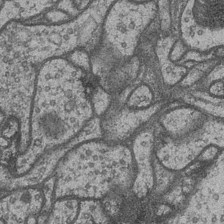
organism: Drosophila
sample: Optic medulla